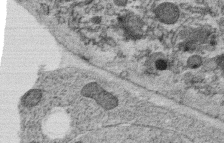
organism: C. elegans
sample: C. elegans oocyte; sperm cells